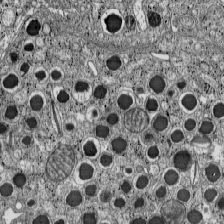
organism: C57BL Mouse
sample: Pancreatic islet